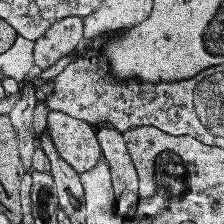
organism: Human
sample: Temporal Lobe